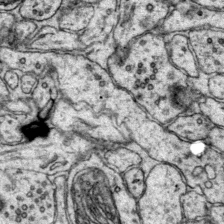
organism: Mouse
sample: Primary visual cortex